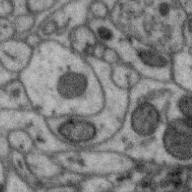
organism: Zebra finch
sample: Brain